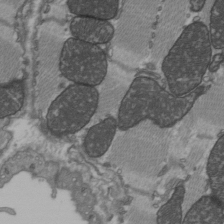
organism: C57BL Mouse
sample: Heart